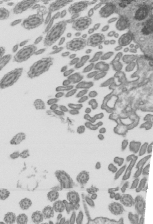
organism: Mouse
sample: Mouse epididymis efferent ductule cilia